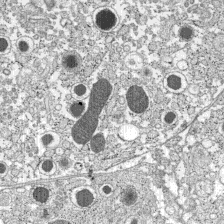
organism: C57BL Mouse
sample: Pancreatic islet